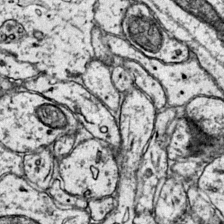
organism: Mouse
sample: Primary visual cortex